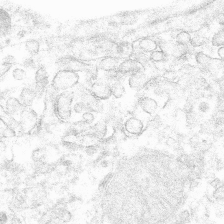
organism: Mouse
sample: Mouse hepatocytes